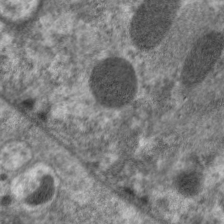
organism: C. elegans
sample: Pharynx